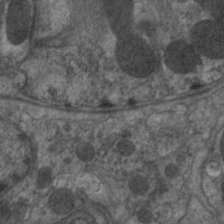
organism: C. elegans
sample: Pharynx